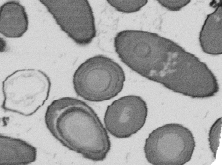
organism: B. subtilis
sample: Bacterial spore